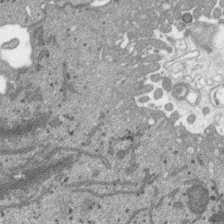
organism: Human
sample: Lung epithelial cells infected with SARS-CoV-2